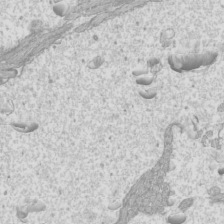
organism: Mouse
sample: Cilia; mouse epididymis